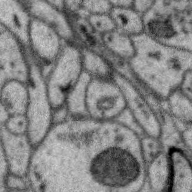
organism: Zebra finch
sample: Brain